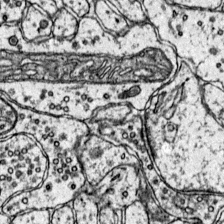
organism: Mouse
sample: Primary visual cortex